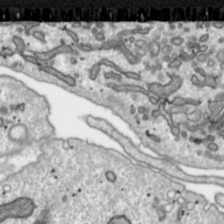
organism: Toxoplasma gondii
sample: Parasites in a vacuole inside a host cell